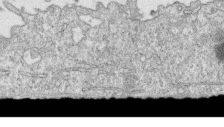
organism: Human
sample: HeLa cell HIV synapse